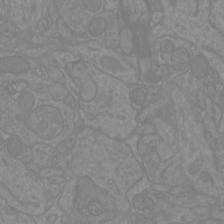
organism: Mouse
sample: Cortical neurons